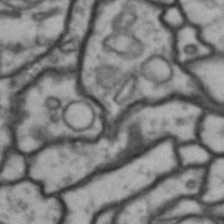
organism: Drosophila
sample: Brain